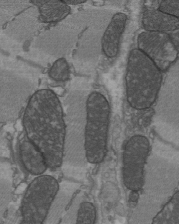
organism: C57BL Mouse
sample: Heart